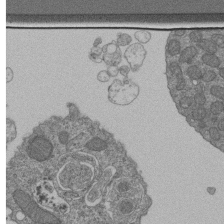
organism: Human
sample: Retinal organoid Rod and Cone cells